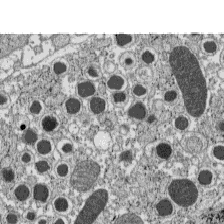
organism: C57BL Mouse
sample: Pancreatic islet